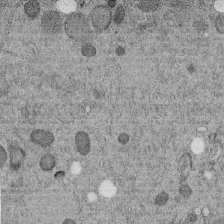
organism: C. elegans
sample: C. elegans embryo early stage